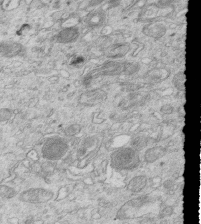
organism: Mouse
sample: Multiciliated cells